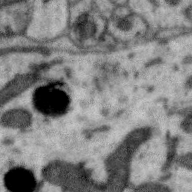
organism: Zebra finch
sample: Brain